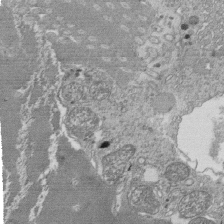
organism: Tetrahymena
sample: Cilia in tetrahymena